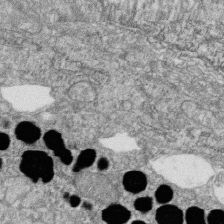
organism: Zebrafish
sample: Cilia; retinal pigment epithelium